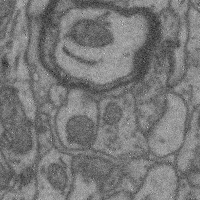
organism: Mouse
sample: Cerebral cortex